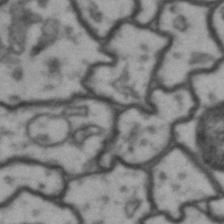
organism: Drosophila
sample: Brain